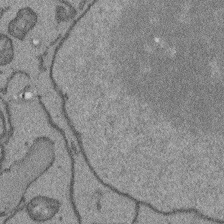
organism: Arabidopsis thaliana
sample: Root tip